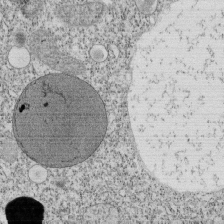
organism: Tetrahymena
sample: Cilia in tetrahymena